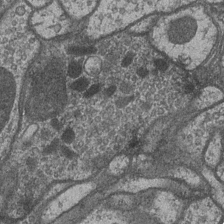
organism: Drosophila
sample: Optic medulla